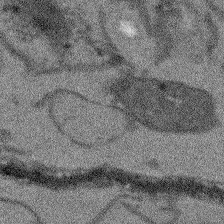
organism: Arabidopsis thaliana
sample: Root tip